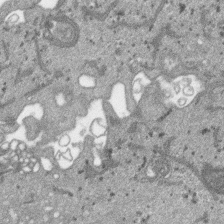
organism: Human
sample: Lung epithelial cells infected with SARS-CoV-2